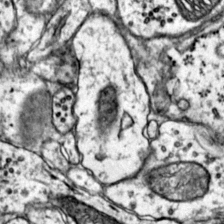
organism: Mouse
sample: Primary visual cortex